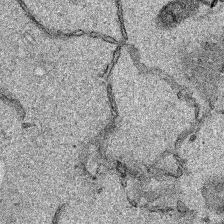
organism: Human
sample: Mitochondria in HCT116 cells